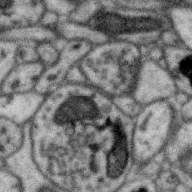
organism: Zebra finch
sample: Brain